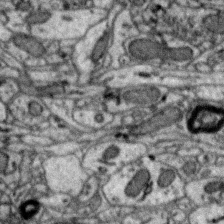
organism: Zebra finch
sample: Brain